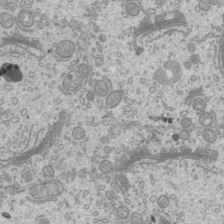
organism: Mouse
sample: Cilia; mouse epididymis